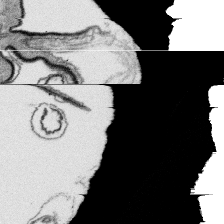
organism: Platynereis dumerilii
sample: Parapodia